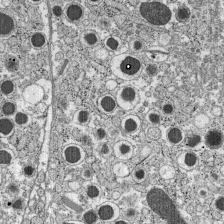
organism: C57BL Mouse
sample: Pancreatic islet